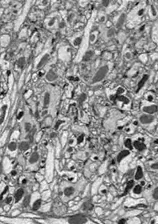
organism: Drosophila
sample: Optic lobe